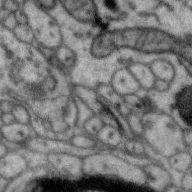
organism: Zebra finch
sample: Brain